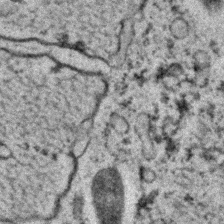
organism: C. elegans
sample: C. elegans embryo